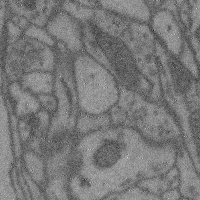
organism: Mouse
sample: Cerebral cortex